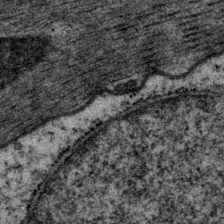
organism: P. pacificus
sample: Pharynx